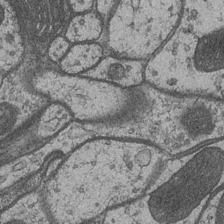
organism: Drosophila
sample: Optic medulla